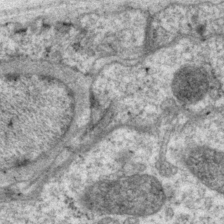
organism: P. pacificus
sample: Pharynx